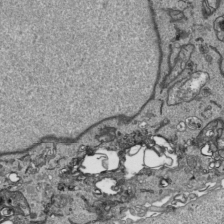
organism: Human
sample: Mitochondria in HCT116 cells